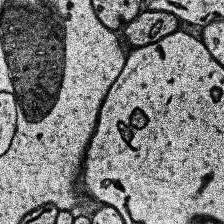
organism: Human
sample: Temporal Lobe